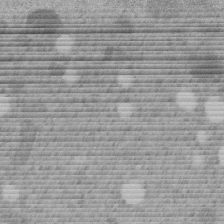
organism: C. elegans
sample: C. elegans embryo early stage